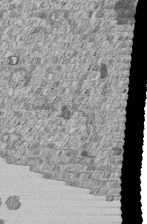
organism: Human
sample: MDA-MB-231 cells